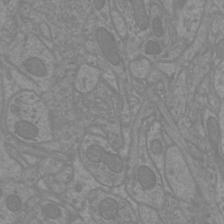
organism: Mouse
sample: Cortical neurons